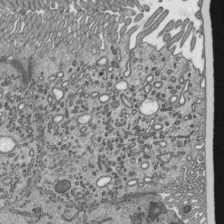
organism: Mouse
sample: Mouse epididymis efferent ductule cilia